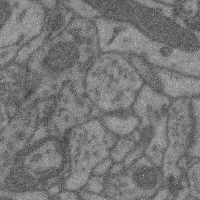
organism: Mouse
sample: Cerebral cortex